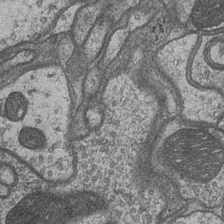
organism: Drosophila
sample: Optic medulla